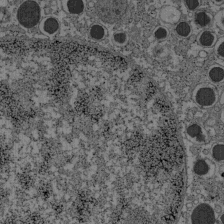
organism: C57BL Mouse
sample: Pancreatic islet